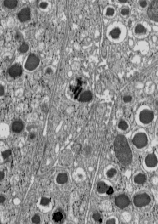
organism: C57BL Mouse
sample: Pancreatic islet